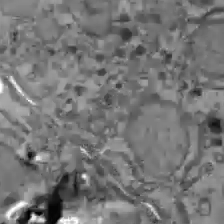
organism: C57BL Mouse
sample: Liver